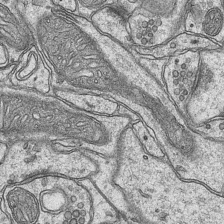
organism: Mouse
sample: CA1 Hippocampus